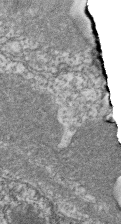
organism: Zebrafish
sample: Cilia; retinal pigment epithelium